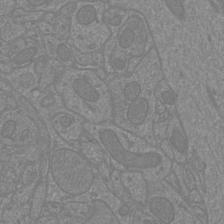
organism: Mouse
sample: Cortical neurons